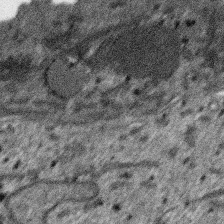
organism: Human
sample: Lung epithelial cells infected with SARS-CoV-2